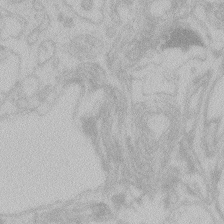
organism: Zebrafish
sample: Macrophage infected with Toxoplasma gondii